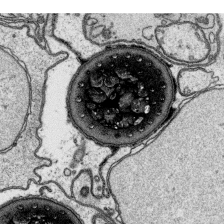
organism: Platynereis dumerilii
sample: Parapodia